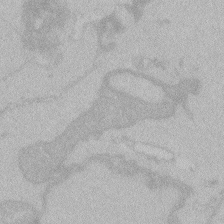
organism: Zebrafish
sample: Macrophage infected with Toxoplasma gondii